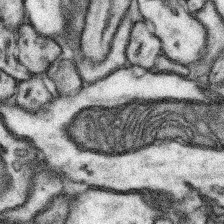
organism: Mouse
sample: Somatosensory cortex neuropil